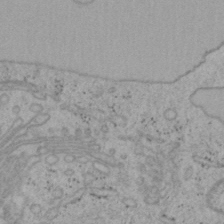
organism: Human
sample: HeLa cells